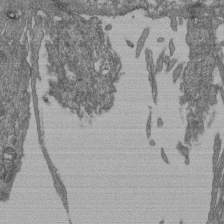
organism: Human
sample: Retinal organoid Rod and Cone cells